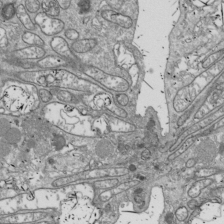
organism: Drosophila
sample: Cell division; meiosis; drosophila spermatocytes